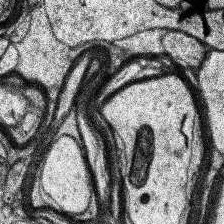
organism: Human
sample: Temporal Lobe